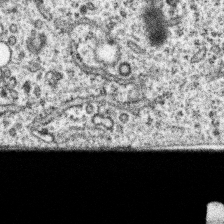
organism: Human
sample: HeLa cells